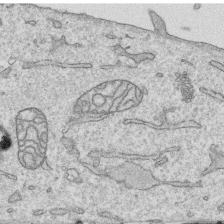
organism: Human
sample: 1205lu cells